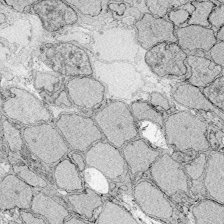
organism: Zebrafish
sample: Whole-Brain